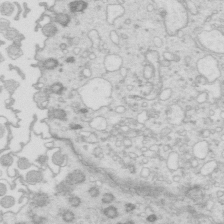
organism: Mouse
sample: Multiciliated cells